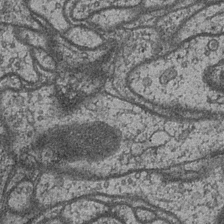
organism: Drosophila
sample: Optic medulla